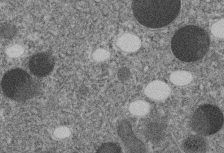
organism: C. elegans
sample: C. elegans embryo early stage